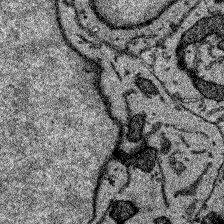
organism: Zebrafish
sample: Larval olfactory bulb